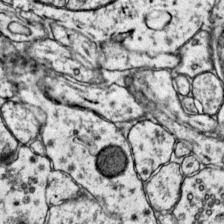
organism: Mouse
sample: Primary visual cortex